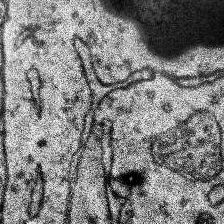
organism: Human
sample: Temporal Lobe